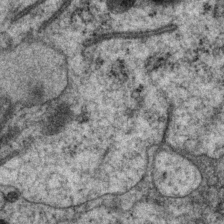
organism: P. pacificus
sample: Pharynx